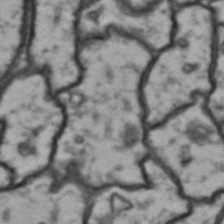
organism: Drosophila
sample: Brain